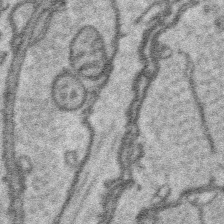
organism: Platynereis dumerilii